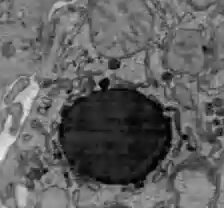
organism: C57BL Mouse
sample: Liver